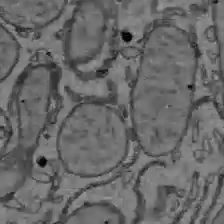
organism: C57BL Mouse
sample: Liver